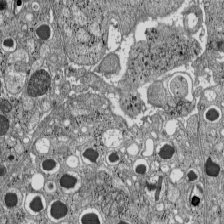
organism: C57BL Mouse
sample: Pancreatic islet